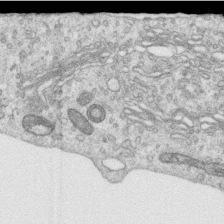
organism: Human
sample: Centriole in RPE cells